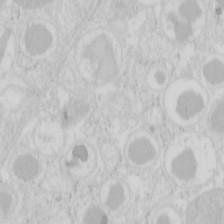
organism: Mouse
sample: Pancreas